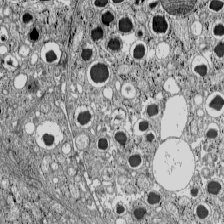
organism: C57BL Mouse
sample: Pancreatic islet